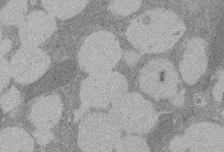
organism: Rat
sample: Salivary granule